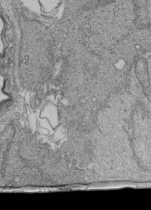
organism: Human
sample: Retinal organoid Rod and Cone cells